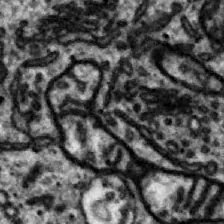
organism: Human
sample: HeLa cells